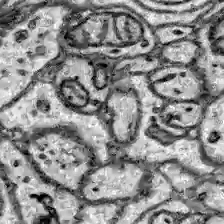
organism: Zebrafish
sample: Brain